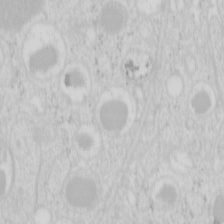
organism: Mouse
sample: Pancreas